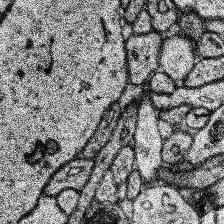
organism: Human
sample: Temporal Lobe